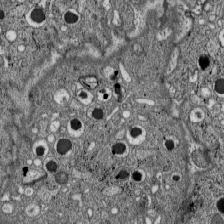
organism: C57BL Mouse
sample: Pancreatic islet